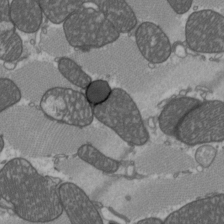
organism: C57BL Mouse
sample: Heart